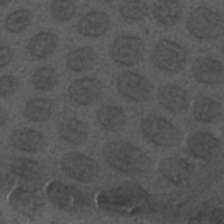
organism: C. elegans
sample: C. elegans embryo